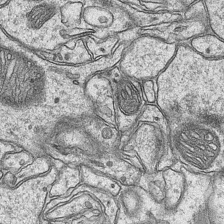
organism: Mouse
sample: CA1 Hippocampus